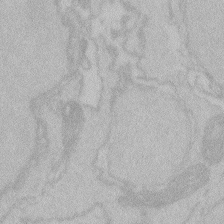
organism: Zebrafish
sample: Macrophage infected with Toxoplasma gondii